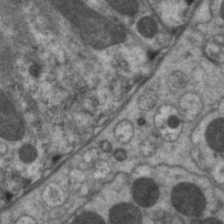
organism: C. elegans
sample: Pharynx